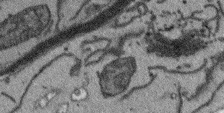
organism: Arabidopsis thaliana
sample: Root tip